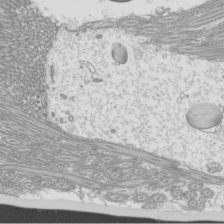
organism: Mouse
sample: Cilia; mouse epididymis